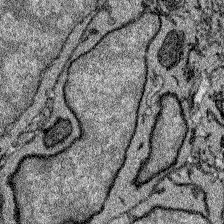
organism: Zebrafish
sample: Larval olfactory bulb